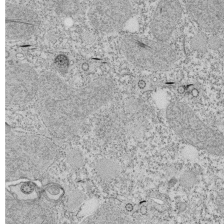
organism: Tetrahymena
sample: Cilia in tetrahymena